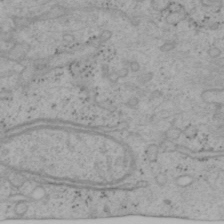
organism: Human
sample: HeLa cells